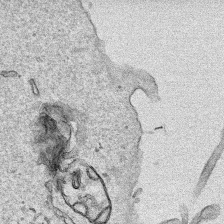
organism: Human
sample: Mitochondria in HCT116 cells